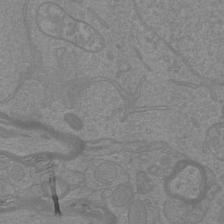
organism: Mouse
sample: Cortical neurons